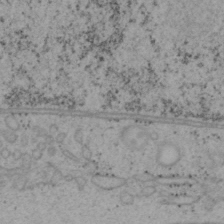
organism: Human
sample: HeLa cells